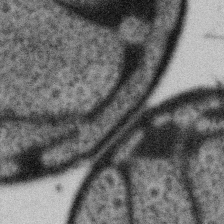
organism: Gemmata obscuriglobus